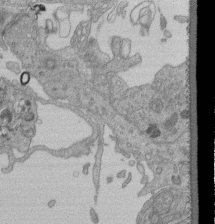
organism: Human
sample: Retinal organoid Rod and Cone cells